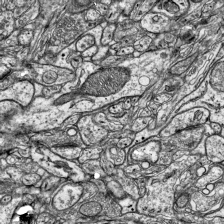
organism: Mouse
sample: Visual Cortex